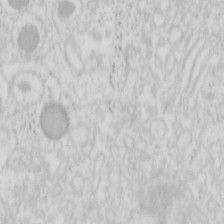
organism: Mouse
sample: Pancreas